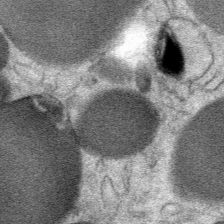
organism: Mouse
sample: Mouse Salivary gland